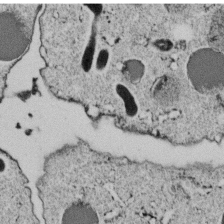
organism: C. elegans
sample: C. elegans embryo early stage